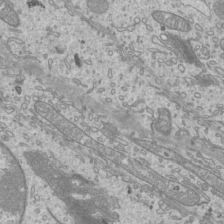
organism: Mouse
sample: Cilia; mouse epididymis